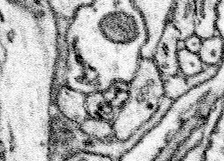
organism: Mouse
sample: Somatosensory cortex neuropil